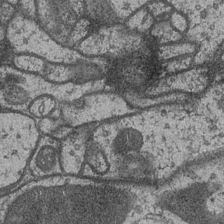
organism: Drosophila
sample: Optic medulla